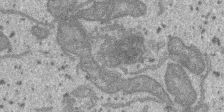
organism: Human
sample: Lung epithelial cells infected with SARS-CoV-2